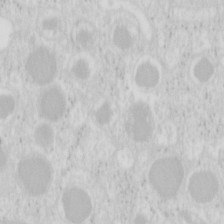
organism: Mouse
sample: Pancreas